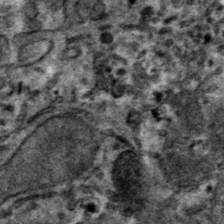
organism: Mouse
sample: Mouse hepatocytes